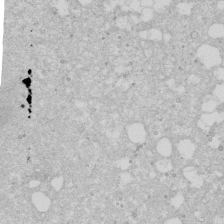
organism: Human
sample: Caco-2 cells